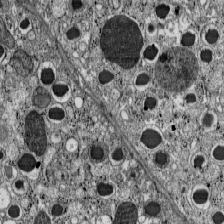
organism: C57BL Mouse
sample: Pancreatic islet